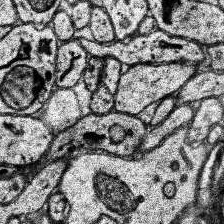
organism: Human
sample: Temporal Lobe